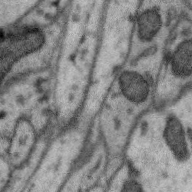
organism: Zebra finch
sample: Brain